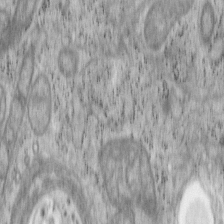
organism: Human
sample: HeLa cells